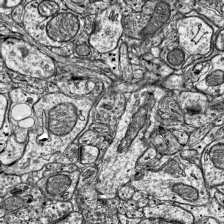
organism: Mouse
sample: Visual Cortex